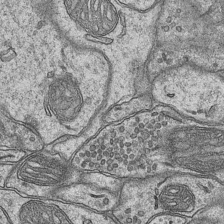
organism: Mouse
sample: CA1 Hippocampus